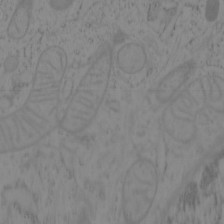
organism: Human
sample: HeLa cells